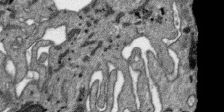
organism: Human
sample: Lung epithelial cells, uninfected (mock) control